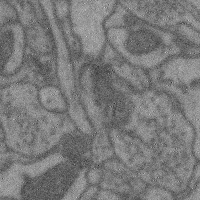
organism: Mouse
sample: Cerebral cortex